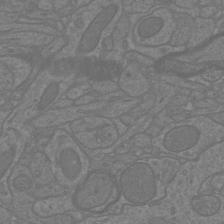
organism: Mouse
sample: Cortical neurons